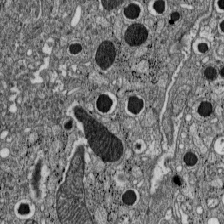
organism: C57BL Mouse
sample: Pancreatic islet